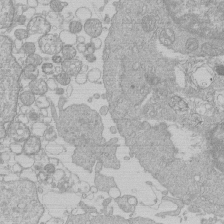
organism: Human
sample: Macrophage cells